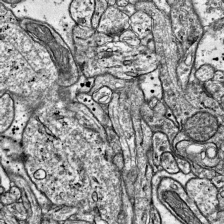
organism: Mouse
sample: Visual Cortex